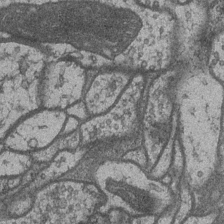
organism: Drosophila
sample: Optic medulla